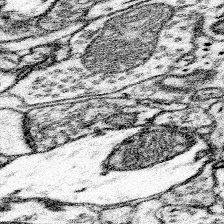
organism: Mouse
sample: Somatosensory cortex neuropil